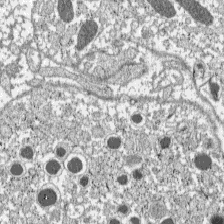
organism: C57BL Mouse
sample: Pancreatic islet